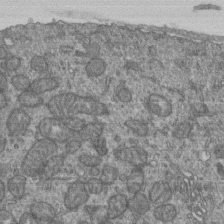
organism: Human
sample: Retinal organoid Rod and Cone cells